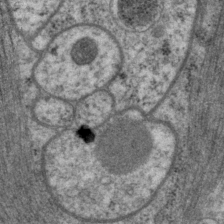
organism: P. pacificus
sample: Pharynx